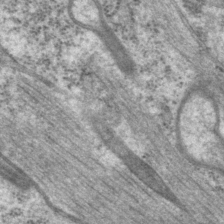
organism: P. pacificus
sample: Pharynx